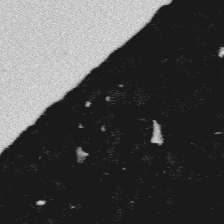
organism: Platynereis dumerilii